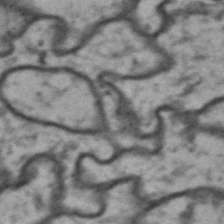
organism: Drosophila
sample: Brain